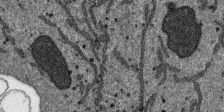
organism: Human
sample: Lung epithelial cells infected with SARS-CoV-2